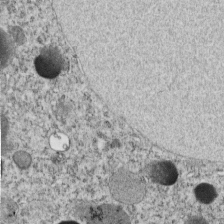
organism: C. elegans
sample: C. elegans embryo early stage